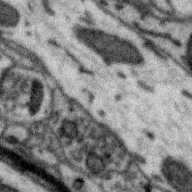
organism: Zebra finch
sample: Brain